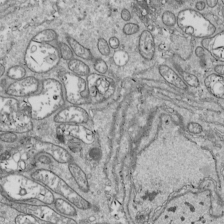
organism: Drosophila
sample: Cell division; meiosis; drosophila spermatocytes